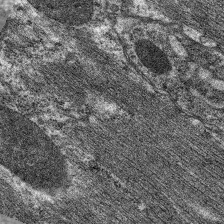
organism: C. elegans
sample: Pharynx